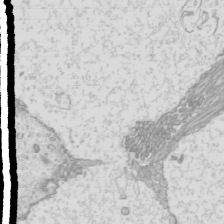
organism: Mouse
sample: Cilia; mouse epididymis